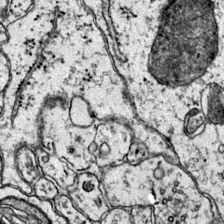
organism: Mouse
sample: Primary visual cortex